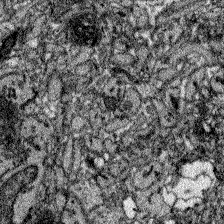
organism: Zebrafish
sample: Larval olfactory bulb